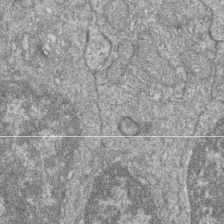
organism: Zebrafish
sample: Cilia; retinal pigment epithelium